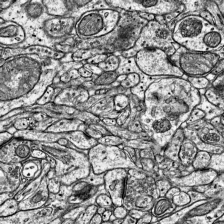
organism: Mouse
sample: Visual Cortex